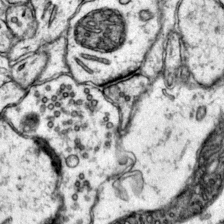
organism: Mouse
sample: Primary visual cortex